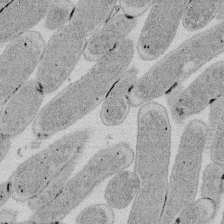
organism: E. coli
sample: Bacterial nucleoid